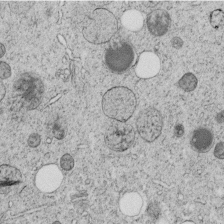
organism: C. elegans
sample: C. elegans embryo early stage